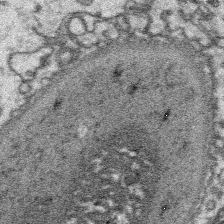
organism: Platynereis dumerilii